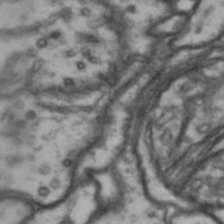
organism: Drosophila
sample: Brain